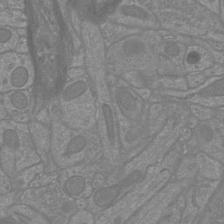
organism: Mouse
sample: Cortical neurons